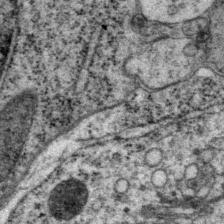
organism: P. pacificus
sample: Pharynx